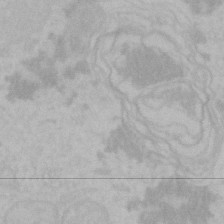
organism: Mouse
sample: Choroid plexus